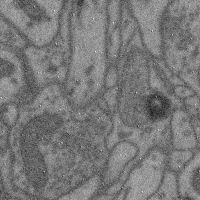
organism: Mouse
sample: Cerebral cortex